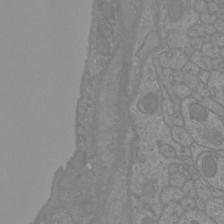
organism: Mouse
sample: Cortical neurons